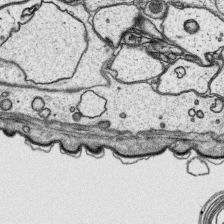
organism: Platynereis dumerilii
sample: Parapodia